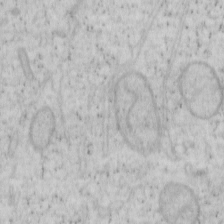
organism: Human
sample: HeLa cells